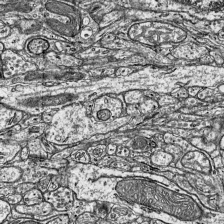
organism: Mouse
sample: Visual Cortex